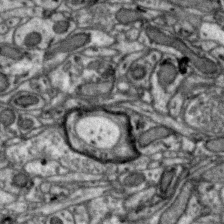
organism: Zebra finch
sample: Brain